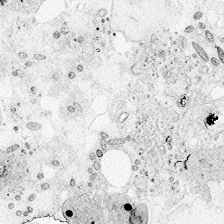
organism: Zebrafish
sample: Whole-Brain